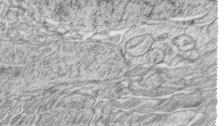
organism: Zebrafish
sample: synaptic ribbons in rod cells and cone cells